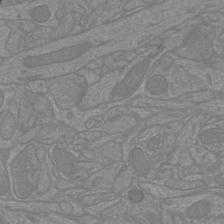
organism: Mouse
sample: Cortical neurons